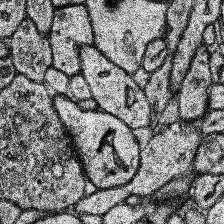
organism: Human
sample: Temporal Lobe